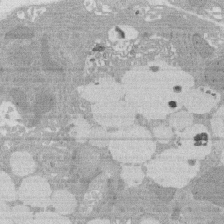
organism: Rat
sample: Salivary granule